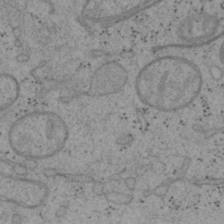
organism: Human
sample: HeLa cells